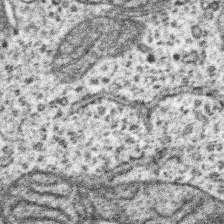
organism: Human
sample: HeLa cells